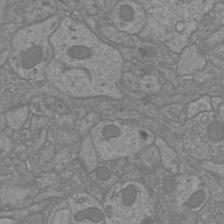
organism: Mouse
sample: Cortical neurons